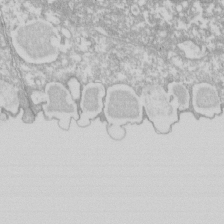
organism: Xenopus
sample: Cilia; centrioles in frog embryo cells